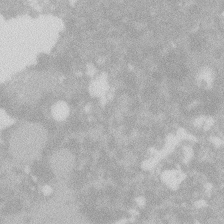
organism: Zebrafish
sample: Macrophage